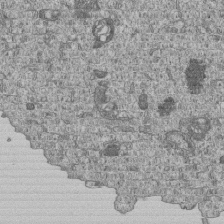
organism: Human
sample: MDA-MB-231 cells